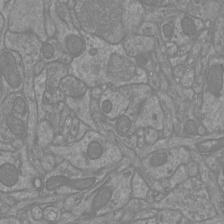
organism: Mouse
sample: Cortical neurons